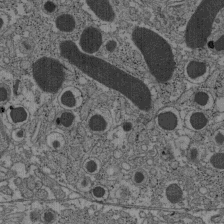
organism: C57BL Mouse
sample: Pancreatic islet